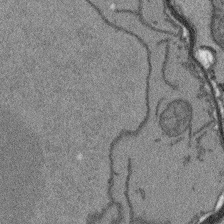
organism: Arabidopsis thaliana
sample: Root tip